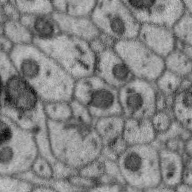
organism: Zebra finch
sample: Brain